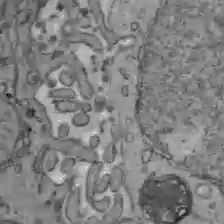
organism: C57BL Mouse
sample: Liver